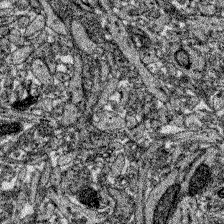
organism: Zebrafish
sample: Larval olfactory bulb